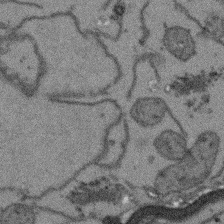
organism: Arabidopsis thaliana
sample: Root tip